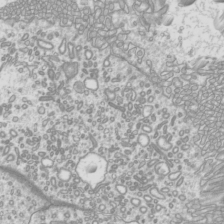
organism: Mouse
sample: Cilia; mouse epididymis